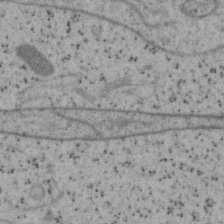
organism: Human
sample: HeLa cells